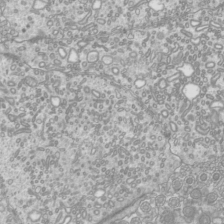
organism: Mouse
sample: Cilia; mouse epididymis